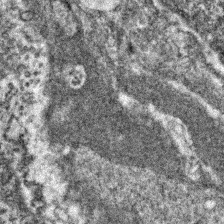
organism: Zebrafish